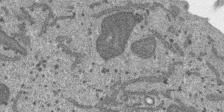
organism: Human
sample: Lung epithelial cells infected with SARS-CoV-2